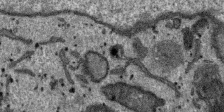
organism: Human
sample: Lung epithelial cells, uninfected (mock) control